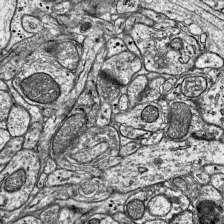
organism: Mouse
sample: Visual Cortex